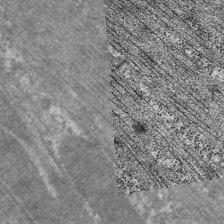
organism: C. elegans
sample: Pharynx